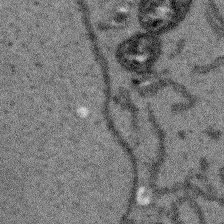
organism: Arabidopsis thaliana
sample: Root tip